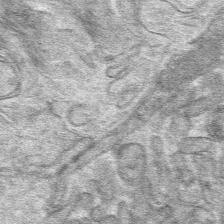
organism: Mouse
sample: Mouse hepatocytes